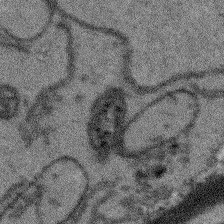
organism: Arabidopsis thaliana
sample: Root tip